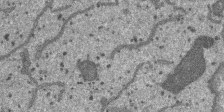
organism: Human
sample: Lung epithelial cells infected with SARS-CoV-2